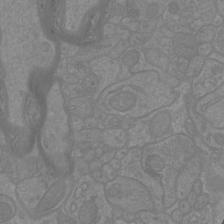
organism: Mouse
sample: Cortical neurons